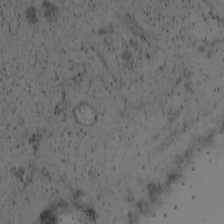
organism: African green monkey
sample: COS-7 cells